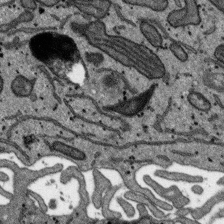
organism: Human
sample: Lung epithelial cells, uninfected (mock) control